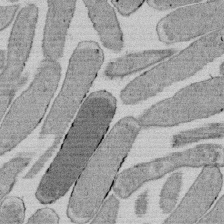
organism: E. coli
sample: Bacterial nucleoid